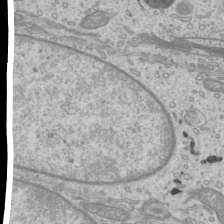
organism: Mouse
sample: Cilia; mouse epididymis